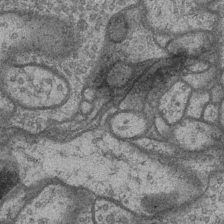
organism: Drosophila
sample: Optic medulla